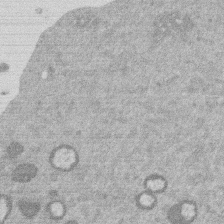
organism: Mouse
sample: Dividing mouse embryo 1 cell stage